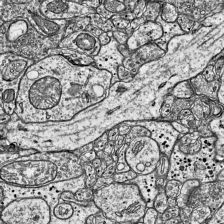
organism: Mouse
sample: Visual Cortex